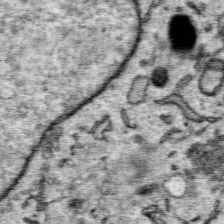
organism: Human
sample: HeLa cells